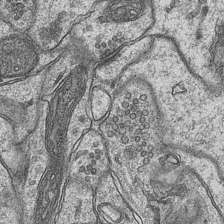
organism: Mouse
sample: CA1 Hippocampus